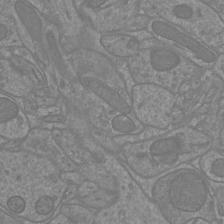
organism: Mouse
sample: Cortical neurons